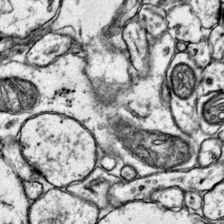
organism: Mouse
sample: Primary visual cortex